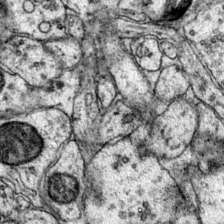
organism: Mouse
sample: Primary visual cortex